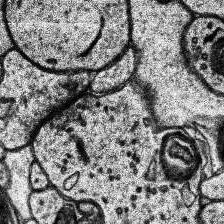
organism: Human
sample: Temporal Lobe